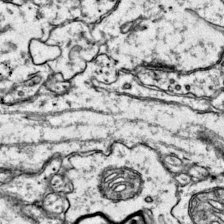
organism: Mouse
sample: Primary visual cortex